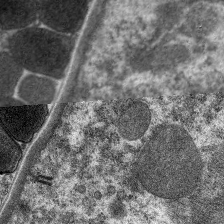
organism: C. elegans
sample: Pharynx